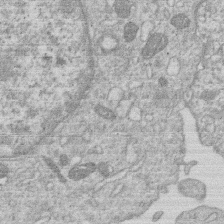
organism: Human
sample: Macrophage cells